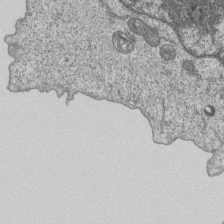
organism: Human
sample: MDA-MB-231 cells